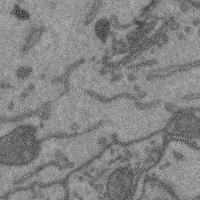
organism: Mouse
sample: Cerebral cortex